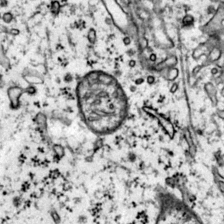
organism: Mouse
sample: Primary visual cortex